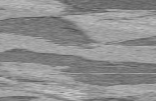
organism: C57BL Mouse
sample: Heart